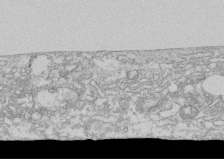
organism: Human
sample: CRL-1474